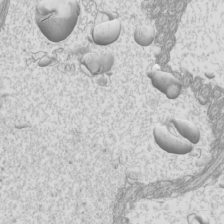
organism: Mouse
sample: Cilia; mouse epididymis